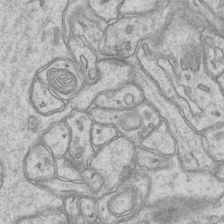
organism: Mouse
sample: CA1 Hippocampus